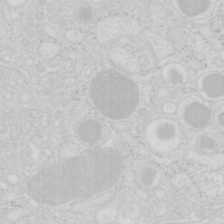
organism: Mouse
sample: Pancreas